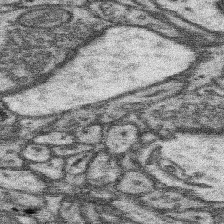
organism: Mouse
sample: Somatosensory cortex neuropil